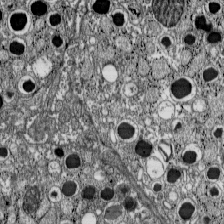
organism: C57BL Mouse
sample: Pancreatic islet